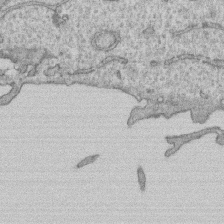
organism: Human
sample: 1205lu cells